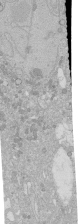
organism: Human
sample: Caco-2 cells